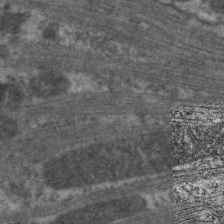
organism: C. elegans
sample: Pharynx